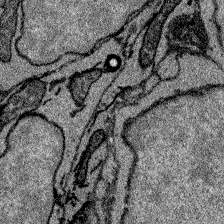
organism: Zebrafish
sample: Larval olfactory bulb